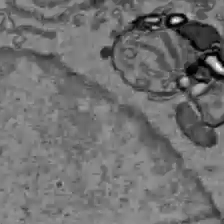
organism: C57BL Mouse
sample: Liver